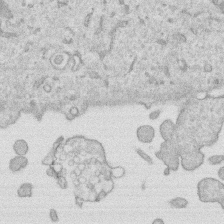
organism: Human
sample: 1205lu cells